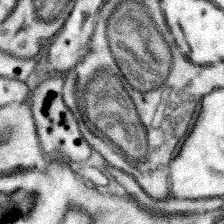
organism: Mouse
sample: Somatosensory cortex neuropil